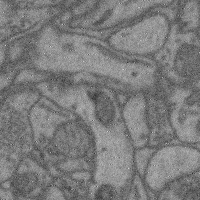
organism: Mouse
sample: Cerebral cortex